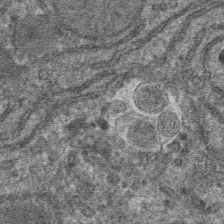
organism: Mouse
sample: Mouse hepatocytes